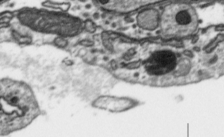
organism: Toxoplasma gondii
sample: Parasites in a vacuole inside a host cell